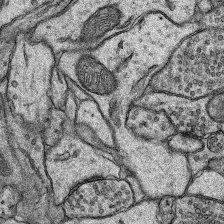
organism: Rat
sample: Hippocampus